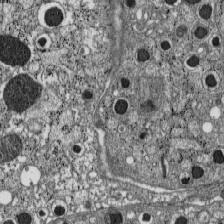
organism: C57BL Mouse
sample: Pancreatic islet